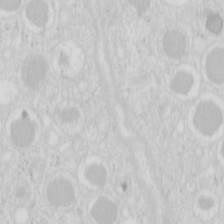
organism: Mouse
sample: Pancreas